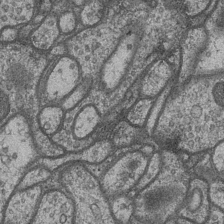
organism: Drosophila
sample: Optic medulla